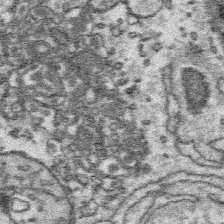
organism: Platynereis dumerilii